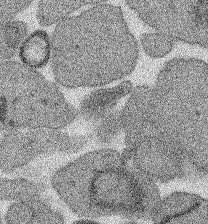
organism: Human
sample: HeLa cells